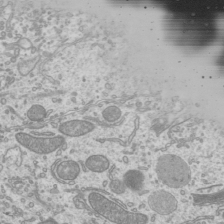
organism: Mouse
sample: Cilia; mouse epididymis